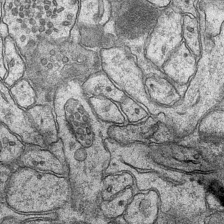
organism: Mouse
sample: CA1 Hippocampus